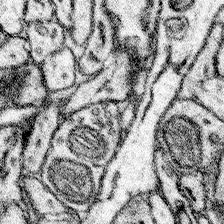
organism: Mouse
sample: Somatosensory cortex neuropil